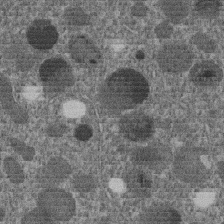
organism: C. elegans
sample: C. elegans embryo early stage